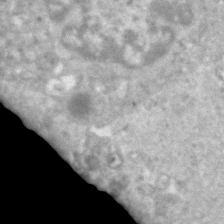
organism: Human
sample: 1205lu cells